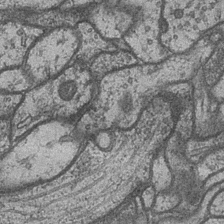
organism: Drosophila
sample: Optic medulla